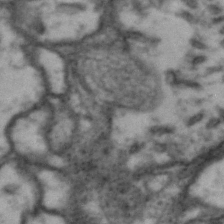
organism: Drosophila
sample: Brain